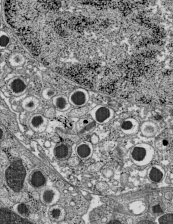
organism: C57BL Mouse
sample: Pancreatic islet